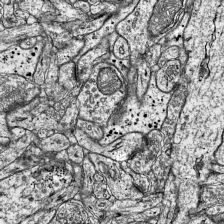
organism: Mouse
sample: Visual Cortex